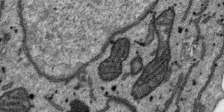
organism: Human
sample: Lung epithelial cells, uninfected (mock) control